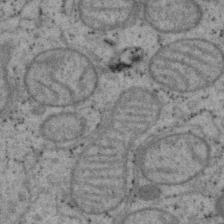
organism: Human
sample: HeLa cells